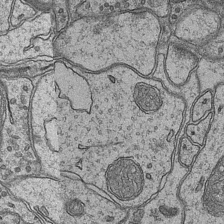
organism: Mouse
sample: CA1 Hippocampus